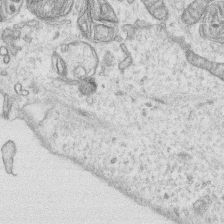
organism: Human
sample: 1205lu cells